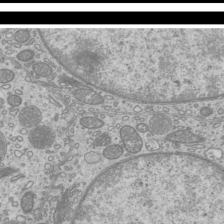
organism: Mouse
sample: Cilia; mouse epididymis